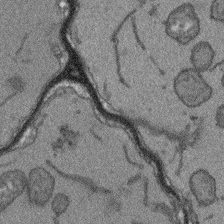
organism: Arabidopsis thaliana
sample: Root tip